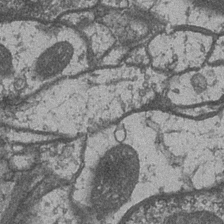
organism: Drosophila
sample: Optic medulla